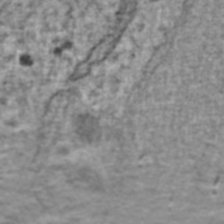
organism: Human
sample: Blood